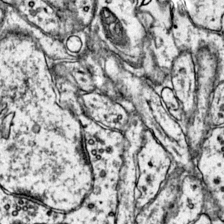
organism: Mouse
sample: Primary visual cortex